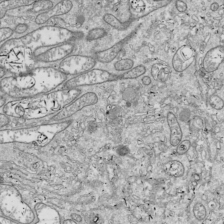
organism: Drosophila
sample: Cell division; meiosis; drosophila spermatocytes